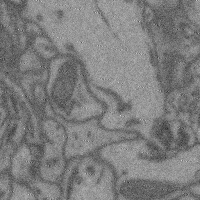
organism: Mouse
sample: Cerebral cortex